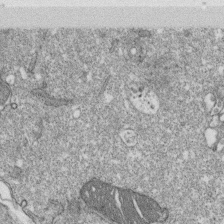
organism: African green monkey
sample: Vero E6 cells infected with SARS-CoV-2